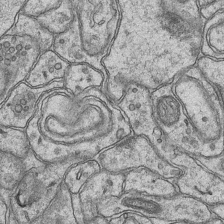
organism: Mouse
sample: CA1 Hippocampus